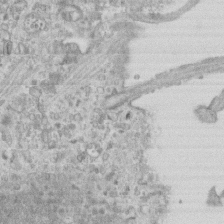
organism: Mouse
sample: Centriole in ependymal cells